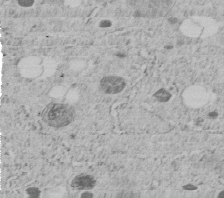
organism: C. elegans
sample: C. elegans embryo early stage